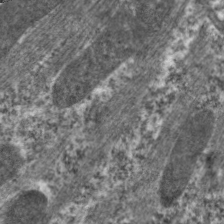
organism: C. elegans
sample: Pharynx